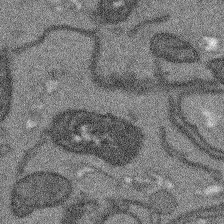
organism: Arabidopsis thaliana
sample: Root tip